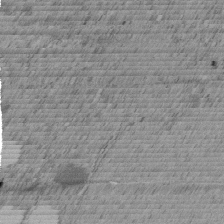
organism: C. elegans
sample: C. elegans embryo early stage